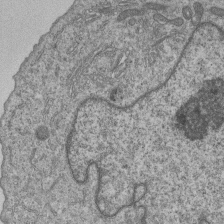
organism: Human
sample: MDA-MB-231 cells